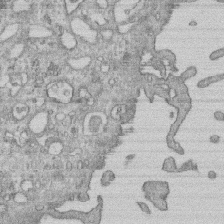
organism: Human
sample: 1205lu cells